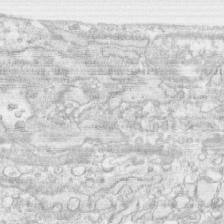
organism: Human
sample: CRL-1474